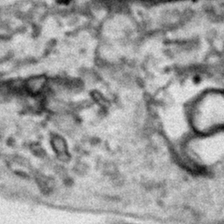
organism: Human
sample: Mitochondria in HCT116 cells